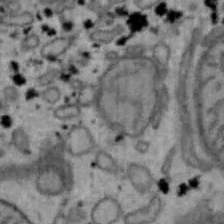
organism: Mouse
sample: Liver